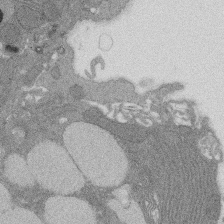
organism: Rat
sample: Salivary granule